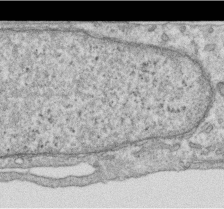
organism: Human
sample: Centriole in RPE cells